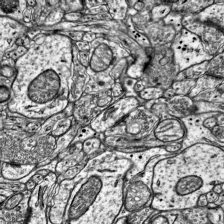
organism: Mouse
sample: Visual Cortex